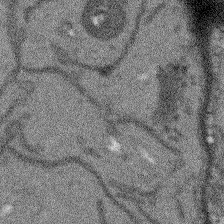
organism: Arabidopsis thaliana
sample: Root tip